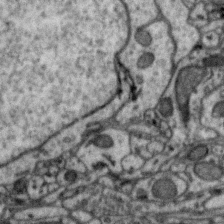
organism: Zebra finch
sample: Brain